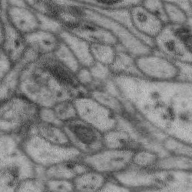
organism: Zebra finch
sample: Brain